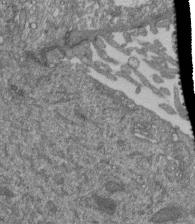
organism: Human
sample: Retinal organoid Rod and Cone cells